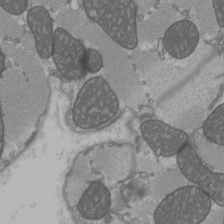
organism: C57BL Mouse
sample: Heart